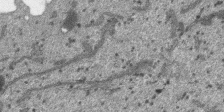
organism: Human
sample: Lung epithelial cells infected with SARS-CoV-2